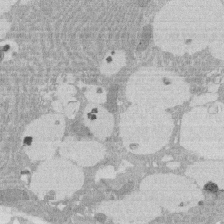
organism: Rat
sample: Salivary granule